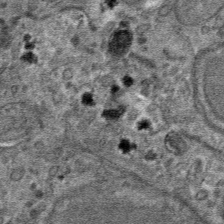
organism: Mouse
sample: Mouse hepatocytes